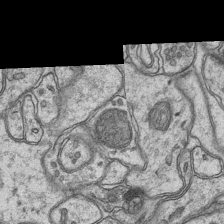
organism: Mouse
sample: CA1 Hippocampus